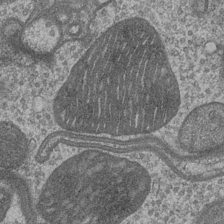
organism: Drosophila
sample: Optic medulla